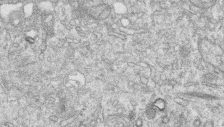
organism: Human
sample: HeLa cell HIV synapse